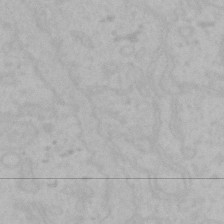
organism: Mouse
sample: Choroid plexus